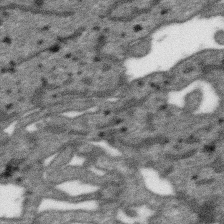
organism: Human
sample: Lung epithelial cells infected with SARS-CoV-2